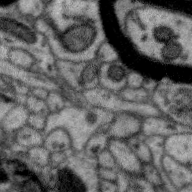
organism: Zebra finch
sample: Brain